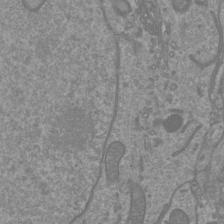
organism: Mouse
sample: Cortical neurons